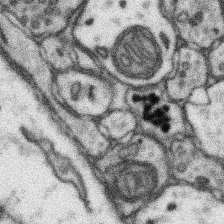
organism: Mouse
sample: Somatosensory cortex neuropil